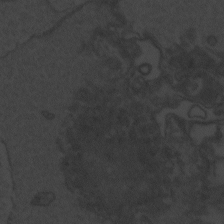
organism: Zebrafish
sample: Macrophage infected with Toxoplasma gondii